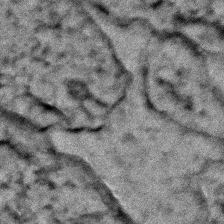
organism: Zebrafish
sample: Zebrafish embryo